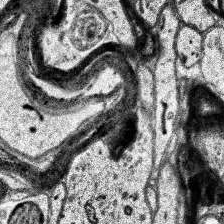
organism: Human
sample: Temporal Lobe